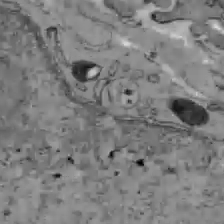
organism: C57BL Mouse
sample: Liver